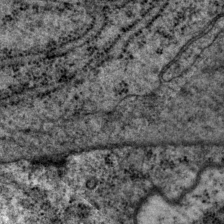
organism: P. pacificus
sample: Pharynx